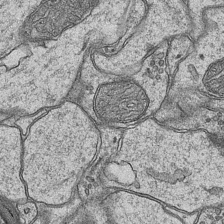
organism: Mouse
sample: CA1 Hippocampus